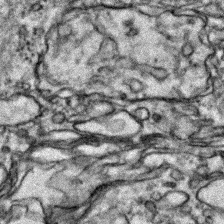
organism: Zebrafish